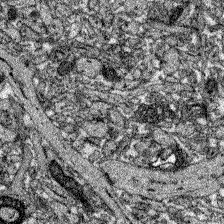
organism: Zebrafish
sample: Larval olfactory bulb